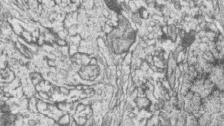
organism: Zebrafish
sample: synaptic ribbons in rod cells and cone cells